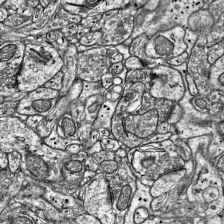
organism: Mouse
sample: Visual Cortex